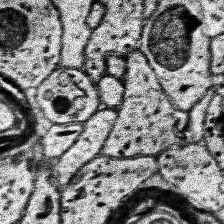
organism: Human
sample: Temporal Lobe